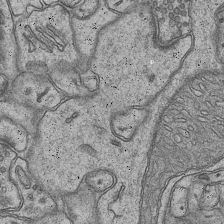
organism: Mouse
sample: CA1 Hippocampus